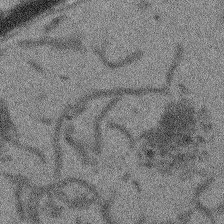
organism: Arabidopsis thaliana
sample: Root tip